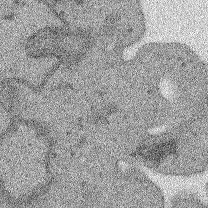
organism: Human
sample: HeLa cells